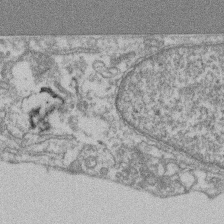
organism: Mouse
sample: T cell stromal cell synapse